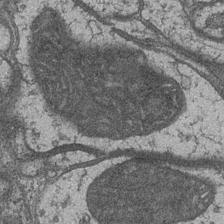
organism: Drosophila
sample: Optic medulla